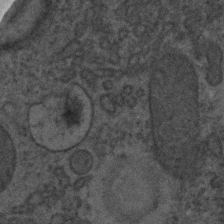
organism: C. elegans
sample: C. elegans embryo